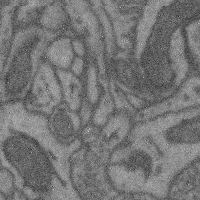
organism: Mouse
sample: Cerebral cortex